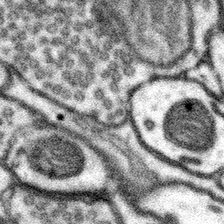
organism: Mouse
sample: Somatosensory cortex neuropil